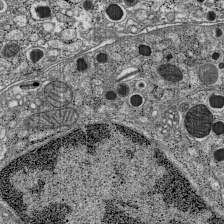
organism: C57BL Mouse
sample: Pancreatic islet